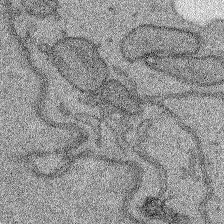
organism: Human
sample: HeLa cells